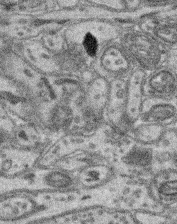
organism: Mouse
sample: Retina